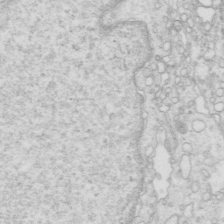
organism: Mouse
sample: Multiciliated cells